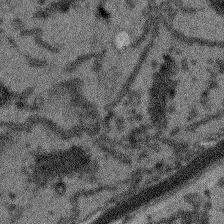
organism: Arabidopsis thaliana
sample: Root tip